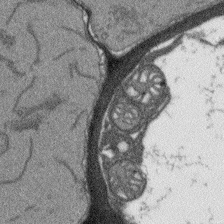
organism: Arabidopsis thaliana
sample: Root tip